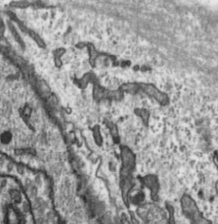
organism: Toxoplasma gondii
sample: Parasites in a vacuole inside a host cell